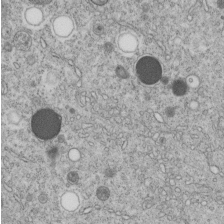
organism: C. elegans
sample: C. elegans embryo early stage